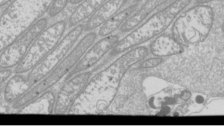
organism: Drosophila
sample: Cell division; meiosis; drosophila spermatocytes